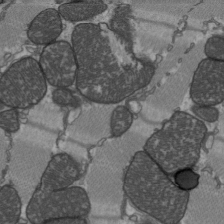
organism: C57BL Mouse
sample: Heart